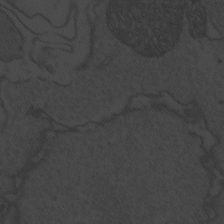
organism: Zebrafish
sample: Macrophage infected with Toxoplasma gondii